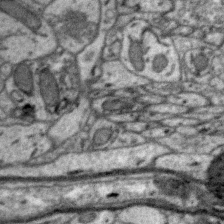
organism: Zebra finch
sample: Brain